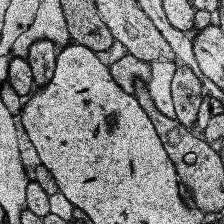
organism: Human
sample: Temporal Lobe